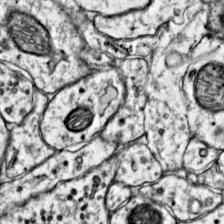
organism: Mouse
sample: Primary visual cortex